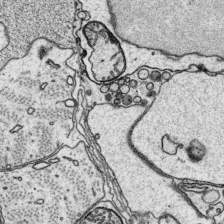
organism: Platynereis dumerilii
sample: Parapodia